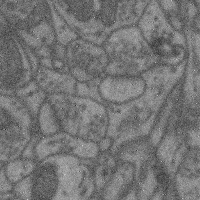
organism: Mouse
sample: Cerebral cortex